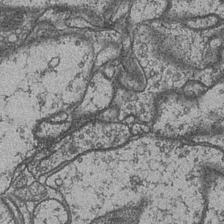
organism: Drosophila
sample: Optic medulla